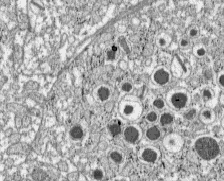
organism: C57BL Mouse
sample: Pancreatic islet